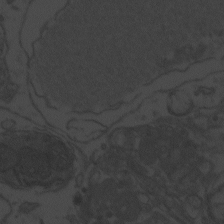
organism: Zebrafish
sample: Macrophage infected with Toxoplasma gondii